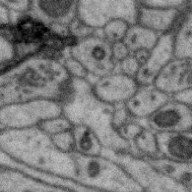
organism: Zebra finch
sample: Brain